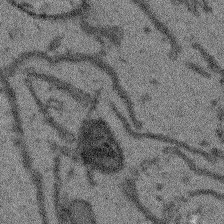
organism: Arabidopsis thaliana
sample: Root tip